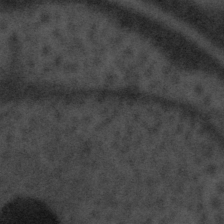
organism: Tuwongella immobilis